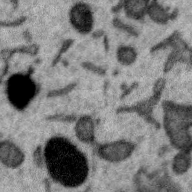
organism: Zebra finch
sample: Brain